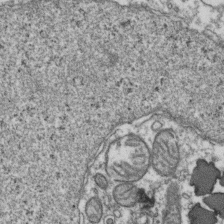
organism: Human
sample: Activated Jurkat CD4+ T cells